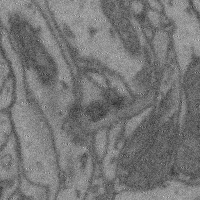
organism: Mouse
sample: Cerebral cortex